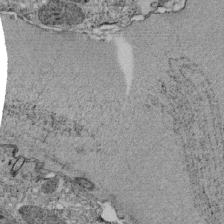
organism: Tetrahymena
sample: Cilia in tetrahymena